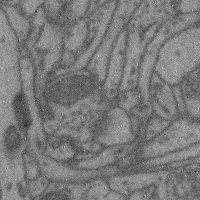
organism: Mouse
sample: Cerebral cortex